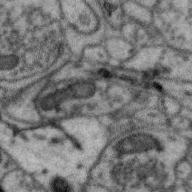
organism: Zebra finch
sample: Brain